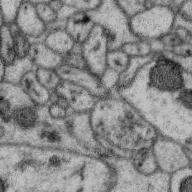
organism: Zebra finch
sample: Brain